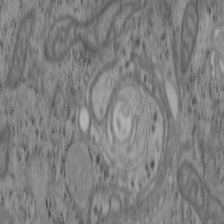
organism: Human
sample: HeLa cells